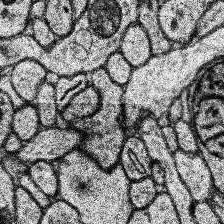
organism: Human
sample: Temporal Lobe